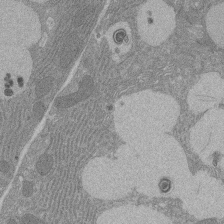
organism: Rat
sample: Salivary granule